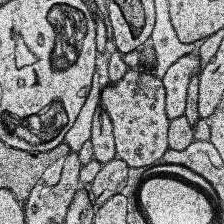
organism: Human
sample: Temporal Lobe